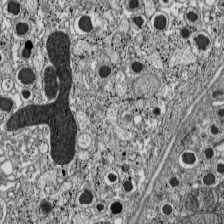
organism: C57BL Mouse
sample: Pancreatic islet